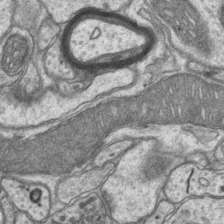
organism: Mouse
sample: CA1 Hippocampus